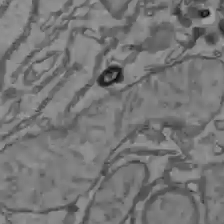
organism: C57BL Mouse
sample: Liver